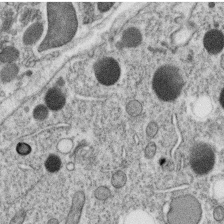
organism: C. elegans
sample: C. elegans oocyte; sperm cells